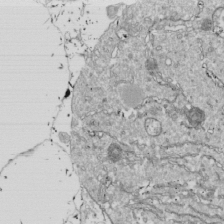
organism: Drosophila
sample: Cell division; meiosis; drosophila spermatocytes